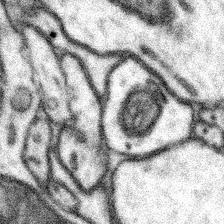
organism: Mouse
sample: Somatosensory cortex neuropil